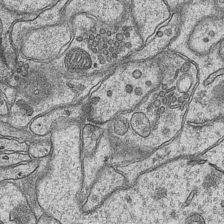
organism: Mouse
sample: CA1 Hippocampus